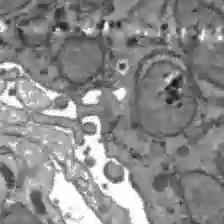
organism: C57BL Mouse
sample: Liver